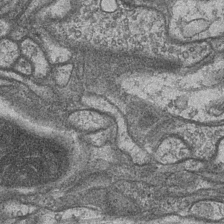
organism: Drosophila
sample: Optic medulla